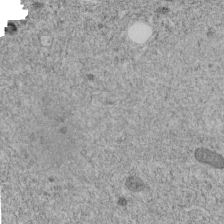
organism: C. elegans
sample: C. elegans embryo early stage